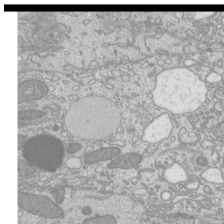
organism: Mouse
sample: Cilia; mouse epididymis